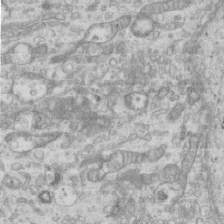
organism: Mouse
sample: Centriole in ependymal cells